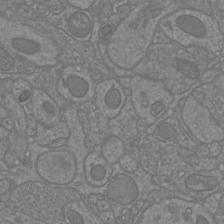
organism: Mouse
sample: Cortical neurons